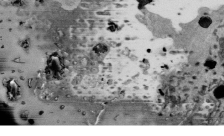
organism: Mouse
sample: ED-1 cell nuclei; centrioles